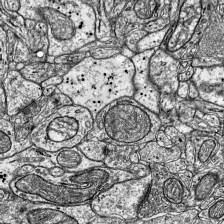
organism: Mouse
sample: Visual Cortex